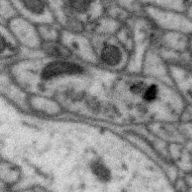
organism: Zebra finch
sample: Brain